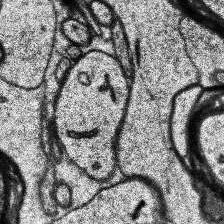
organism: Human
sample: Temporal Lobe